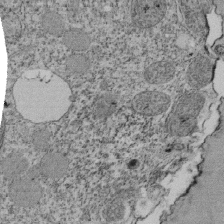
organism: Tetrahymena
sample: Cilia in tetrahymena